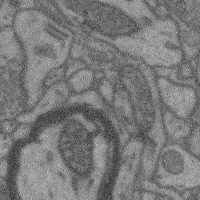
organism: Mouse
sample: Cerebral cortex